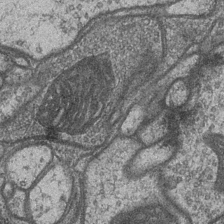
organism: Drosophila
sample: Optic medulla